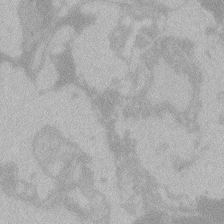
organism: Zebrafish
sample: Macrophage infected with Toxoplasma gondii